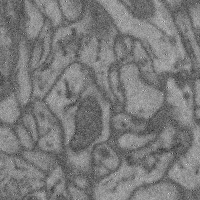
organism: Mouse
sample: Cerebral cortex